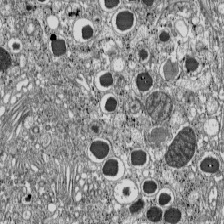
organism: C57BL Mouse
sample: Pancreatic islet